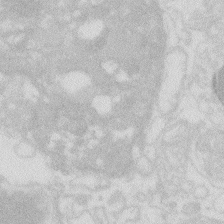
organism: Zebrafish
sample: Macrophage